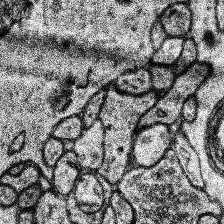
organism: Human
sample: Temporal Lobe